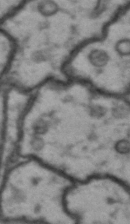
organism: Drosophila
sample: Brain